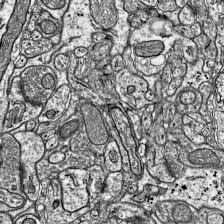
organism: Mouse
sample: Visual Cortex